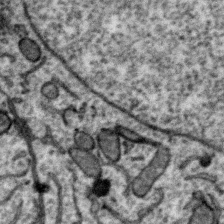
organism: Zebra finch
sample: Brain